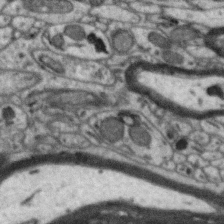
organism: Zebra finch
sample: Brain